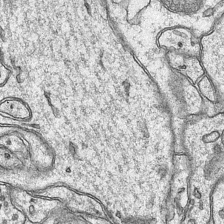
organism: Mouse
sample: CA1 Hippocampus